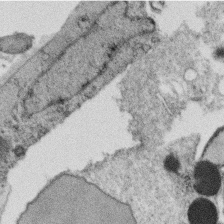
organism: C. elegans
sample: C. elegans oocyte; sperm cells